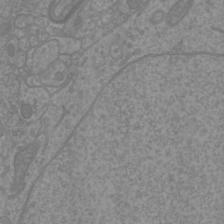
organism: Mouse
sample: Cortical neurons